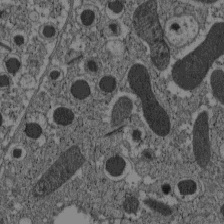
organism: C57BL Mouse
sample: Pancreatic islet